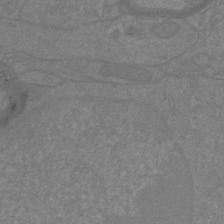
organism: Mouse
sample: Cortical neurons